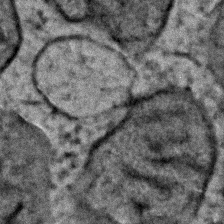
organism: Zebrafish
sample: Zebrafish embryo